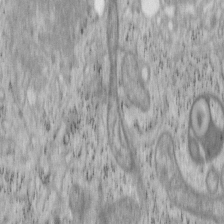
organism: Human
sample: HeLa cells